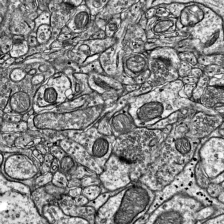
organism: Mouse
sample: Visual Cortex